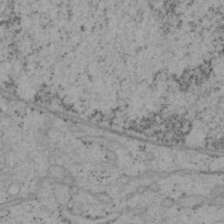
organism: Human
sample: HeLa cells